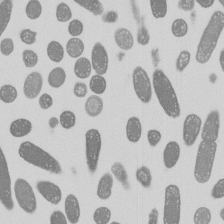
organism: E. coli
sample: Bacterial nucleoid